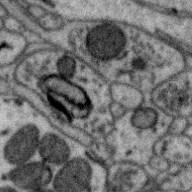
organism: Zebra finch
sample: Brain